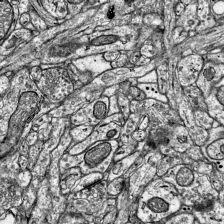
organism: Mouse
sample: Visual Cortex